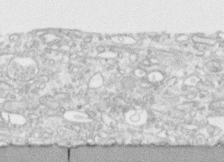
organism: Human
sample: CRL-1474